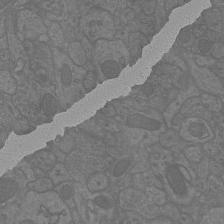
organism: Mouse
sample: Cortical neurons